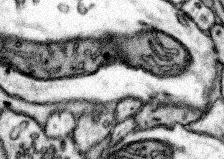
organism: Mouse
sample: Somatosensory cortex neuropil